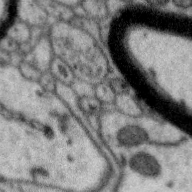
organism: Zebra finch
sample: Brain